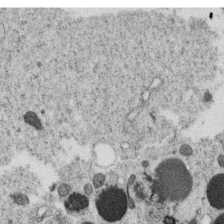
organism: C. elegans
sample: C. elegans oocyte; sperm cells